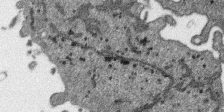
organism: Human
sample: Lung epithelial cells infected with SARS-CoV-2